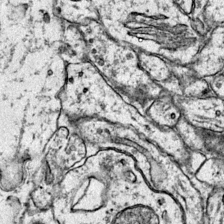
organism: Mouse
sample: Primary visual cortex